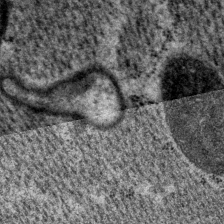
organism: P. pacificus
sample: Pharynx